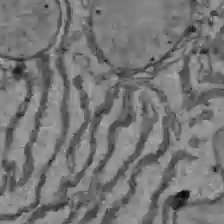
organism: C57BL Mouse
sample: Liver